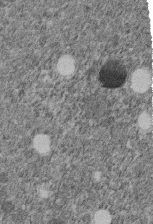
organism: C. elegans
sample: C. elegans embryo early stage